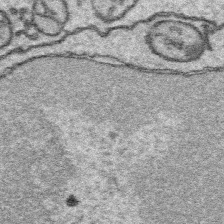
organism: Platynereis dumerilii